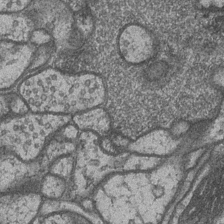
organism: Drosophila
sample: Optic medulla